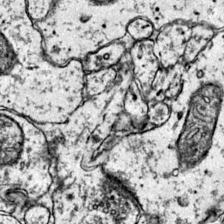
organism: Mouse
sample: Primary visual cortex